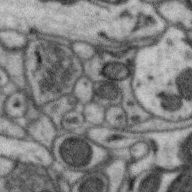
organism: Zebra finch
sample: Brain